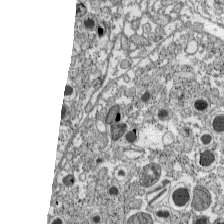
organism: C57BL Mouse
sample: Pancreatic islet